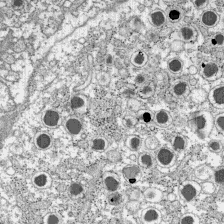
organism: C57BL Mouse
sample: Pancreatic islet